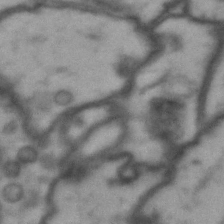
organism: Drosophila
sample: Brain